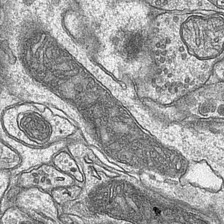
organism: Mouse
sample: CA1 Hippocampus